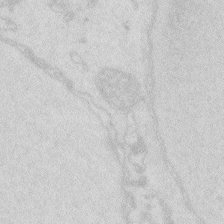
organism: Zebrafish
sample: Macrophage